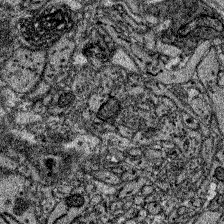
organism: Zebrafish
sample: Larval olfactory bulb